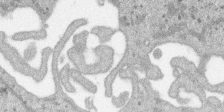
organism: Human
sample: Lung epithelial cells infected with SARS-CoV-2